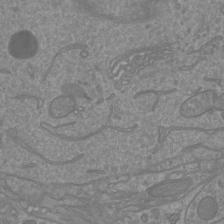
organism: Mouse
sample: Cortical neurons